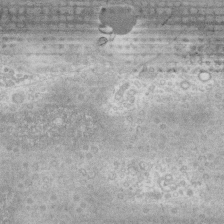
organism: Human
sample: Fibroblast cells